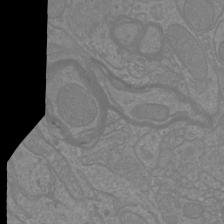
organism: Mouse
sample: Cortical neurons